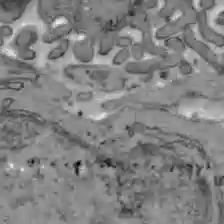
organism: C57BL Mouse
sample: Liver